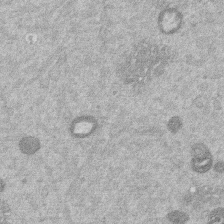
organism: Mouse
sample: Dividing mouse embryo 1 cell stage